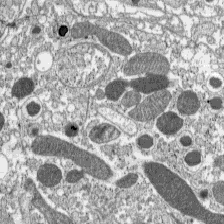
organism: C57BL Mouse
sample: Pancreatic islet